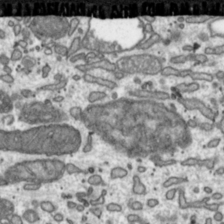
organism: Toxoplasma gondii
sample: Parasites in a vacuole inside a host cell